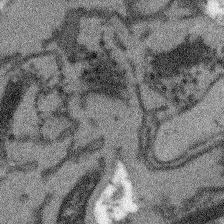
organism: Arabidopsis thaliana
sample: Root tip